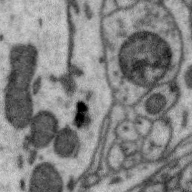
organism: Zebra finch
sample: Brain